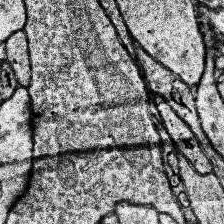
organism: Human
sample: Temporal Lobe